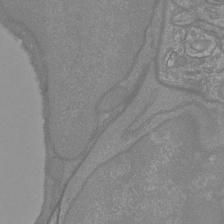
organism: Mouse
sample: Cortical neurons